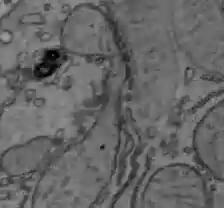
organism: C57BL Mouse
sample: Liver